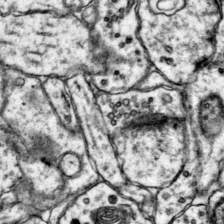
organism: Mouse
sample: Primary visual cortex